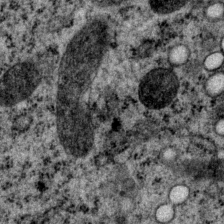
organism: P. pacificus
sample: Pharynx